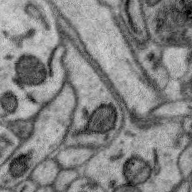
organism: Zebra finch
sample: Brain